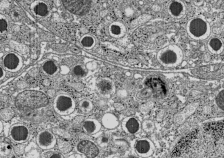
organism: C57BL Mouse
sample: Pancreatic islet